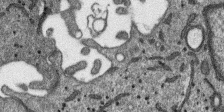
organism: Human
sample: Lung epithelial cells infected with SARS-CoV-2